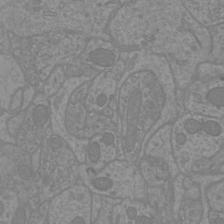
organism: Mouse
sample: Cortical neurons